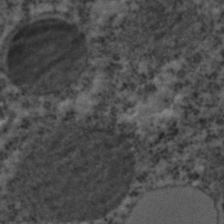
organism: C. elegans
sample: C. elegans embryo